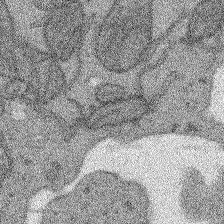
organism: Human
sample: HeLa cells